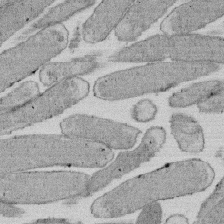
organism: E. coli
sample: Bacterial nucleoid